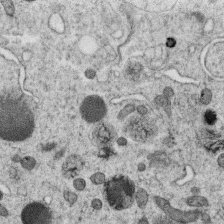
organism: C. elegans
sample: C. elegans oocyte; sperm cells